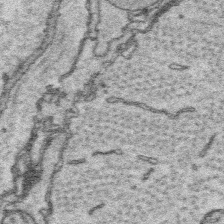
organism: Platynereis dumerilii